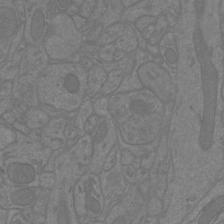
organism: Mouse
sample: Cortical neurons